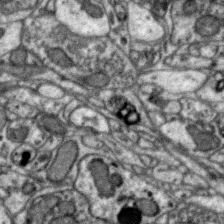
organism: Zebra finch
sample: Brain